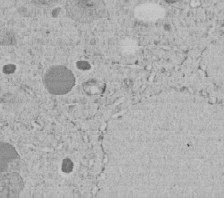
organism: C. elegans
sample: C. elegans embryo early stage